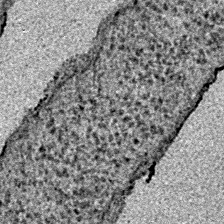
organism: E. coli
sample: E. Coli Bacteria